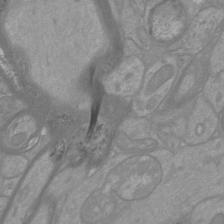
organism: Mouse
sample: Cortical neurons